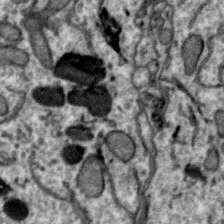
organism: Zebra finch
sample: Brain